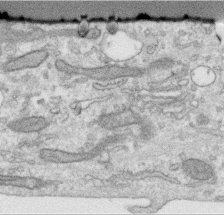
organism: Human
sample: Centriole in RPE cells